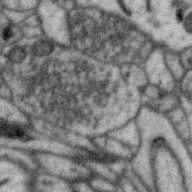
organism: Zebra finch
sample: Brain